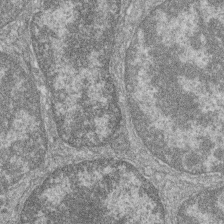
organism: Zebrafish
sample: Cilia; retinal pigment epithelium